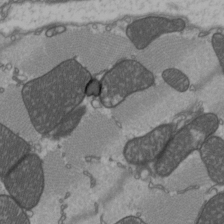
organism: C57BL Mouse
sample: Heart